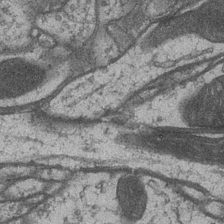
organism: Drosophila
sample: Optic medulla